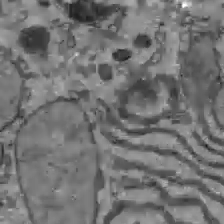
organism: C57BL Mouse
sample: Liver